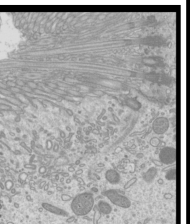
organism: Mouse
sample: Cilia; mouse epididymis